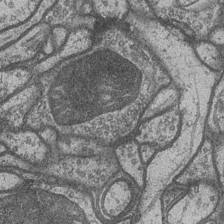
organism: Drosophila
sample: Optic medulla